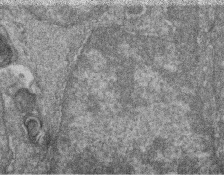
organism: Zebrafish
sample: Cilia; retinal pigment epithelium